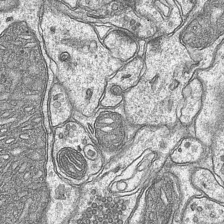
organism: Mouse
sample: CA1 Hippocampus